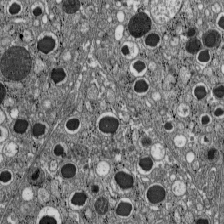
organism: C57BL Mouse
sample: Pancreatic islet